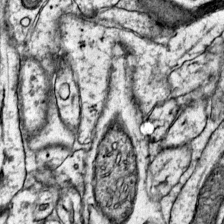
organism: Mouse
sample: Primary visual cortex